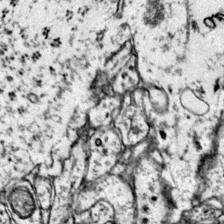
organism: Mouse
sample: Primary visual cortex